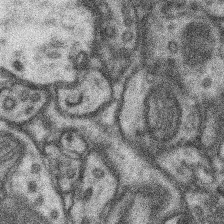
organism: Mouse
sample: Somatosensory cortex neuropil